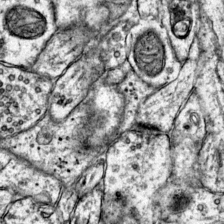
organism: Mouse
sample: Primary visual cortex